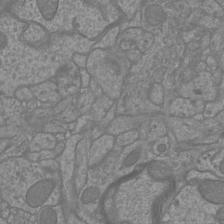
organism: Mouse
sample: Cortical neurons